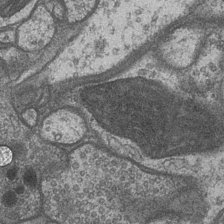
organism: Drosophila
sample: Optic medulla